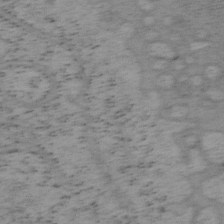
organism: Mouse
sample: OT-I killer T cells with ID8 ovarian cancer cells